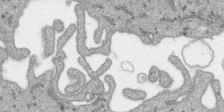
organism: Human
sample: Lung epithelial cells infected with SARS-CoV-2